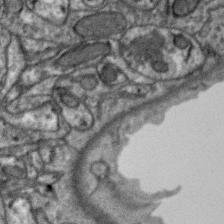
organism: Zebra finch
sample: Brain